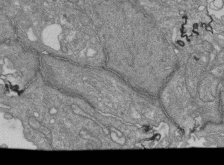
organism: Human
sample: Retinal organoid Rod and Cone cells